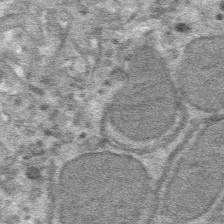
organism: Mouse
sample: Mouse hepatocytes